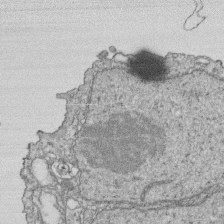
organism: Human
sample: HeLa cell HIV synapse